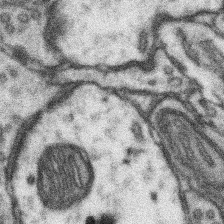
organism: Mouse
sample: Somatosensory cortex neuropil